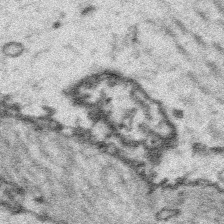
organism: Platynereis dumerilii